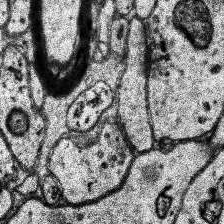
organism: Human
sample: Temporal Lobe